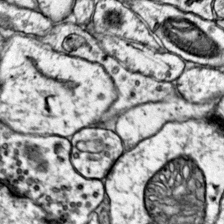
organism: Mouse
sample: Primary visual cortex